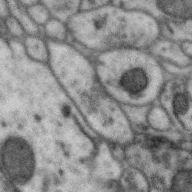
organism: Zebra finch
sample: Brain